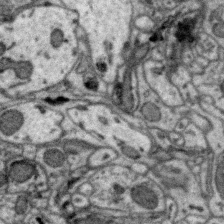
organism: Zebra finch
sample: Brain